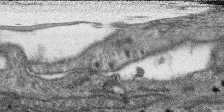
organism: Human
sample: Lung epithelial cells infected with SARS-CoV-2